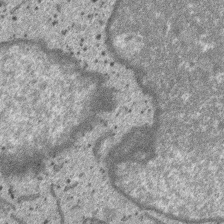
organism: Human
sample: Lung epithelial cells infected with SARS-CoV-2